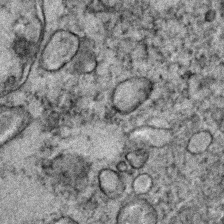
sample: Trachea